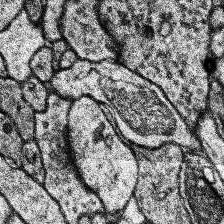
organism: Human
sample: Temporal Lobe